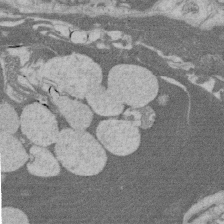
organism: Rat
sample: Salivary granule